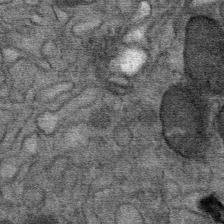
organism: Mouse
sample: Mouse Salivary gland